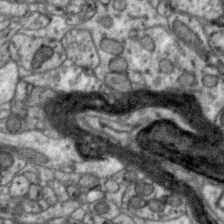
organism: Zebra finch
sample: Brain